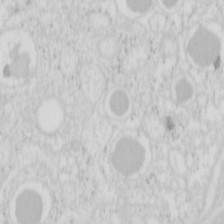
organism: Mouse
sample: Pancreas